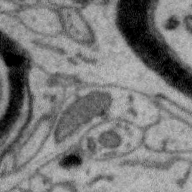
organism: Zebra finch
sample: Brain